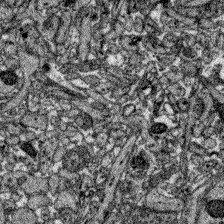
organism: Zebrafish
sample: Larval olfactory bulb